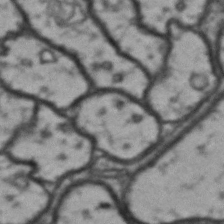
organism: Drosophila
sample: Brain